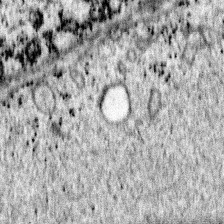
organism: Human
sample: HeLa cells